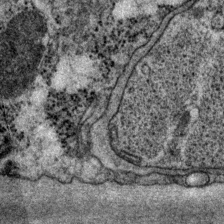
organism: P. pacificus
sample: Pharynx